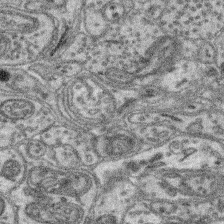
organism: Mouse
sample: Retina